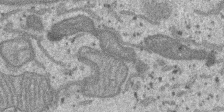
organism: Human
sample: Lung epithelial cells infected with SARS-CoV-2